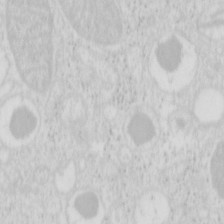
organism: Mouse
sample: Pancreas